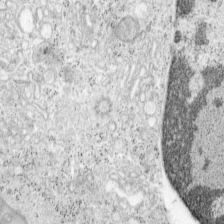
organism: Mouse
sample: OT-I killer T cells with ID8 ovarian cancer cells